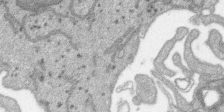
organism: Human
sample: Lung epithelial cells infected with SARS-CoV-2